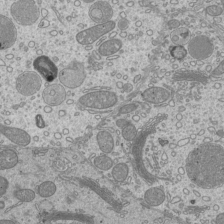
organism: Mouse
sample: Cilia; mouse epididymis